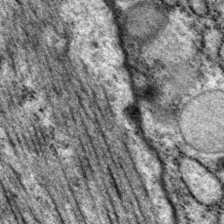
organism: P. pacificus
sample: Pharynx